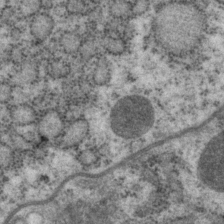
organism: P. pacificus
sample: Pharynx